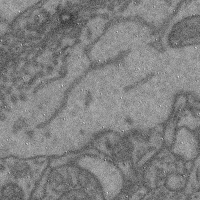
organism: Mouse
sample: Cerebral cortex